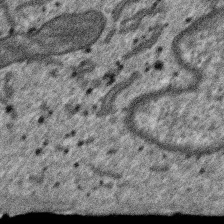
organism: Human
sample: Lung epithelial cells infected with SARS-CoV-2